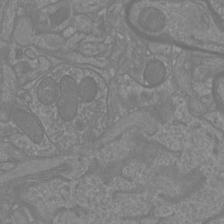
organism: Mouse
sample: Cortical neurons